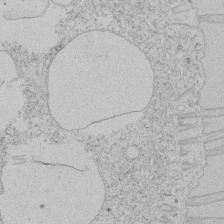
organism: Tetrahymena